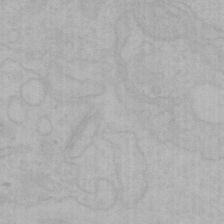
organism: Mouse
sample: Choroid plexus